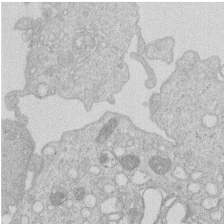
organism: Human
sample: Macrophage cells